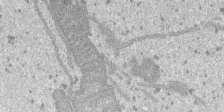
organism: Human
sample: Lung epithelial cells infected with SARS-CoV-2